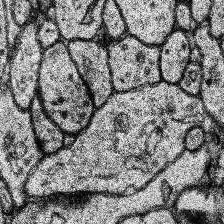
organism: Human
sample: Temporal Lobe